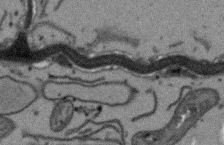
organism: Arabidopsis thaliana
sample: Root tip